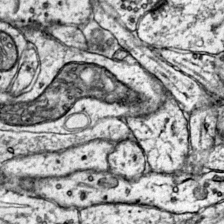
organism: Mouse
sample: Primary visual cortex